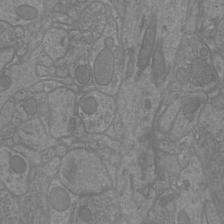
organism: Mouse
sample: Cortical neurons